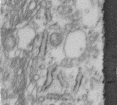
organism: Human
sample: Centriole in fibroblast cells